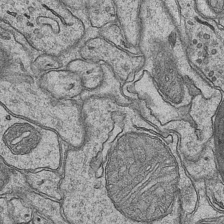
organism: Mouse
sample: CA1 Hippocampus